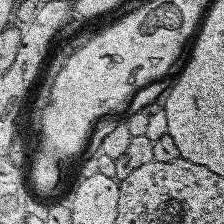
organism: Human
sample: Temporal Lobe